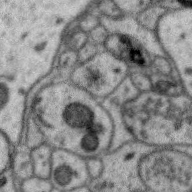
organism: Zebra finch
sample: Brain